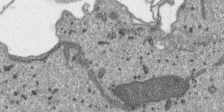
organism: Human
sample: Lung epithelial cells infected with SARS-CoV-2